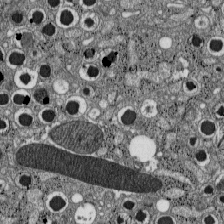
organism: C57BL Mouse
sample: Pancreatic islet